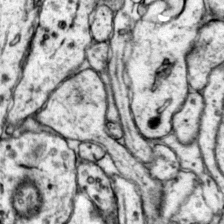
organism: Mouse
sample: Primary visual cortex